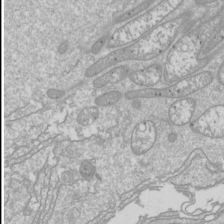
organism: Drosophila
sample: Cell division; meiosis; drosophila spermatocytes